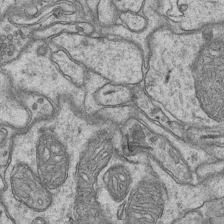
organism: Mouse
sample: CA1 Hippocampus